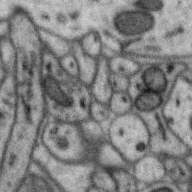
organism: Zebra finch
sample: Brain